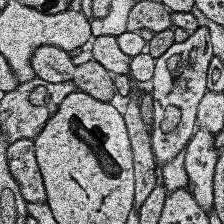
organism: Human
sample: Temporal Lobe